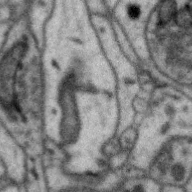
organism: Zebra finch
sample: Brain